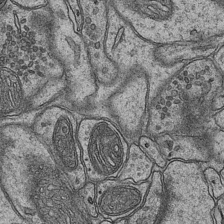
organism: Mouse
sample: CA1 Hippocampus